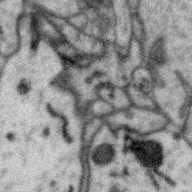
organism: Zebra finch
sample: Brain